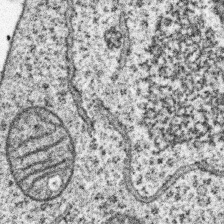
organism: Human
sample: HeLa cells